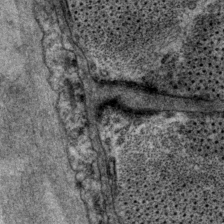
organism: P. pacificus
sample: Pharynx